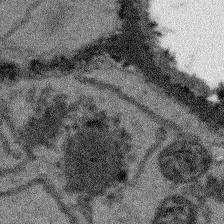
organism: Arabidopsis thaliana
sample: Root tip